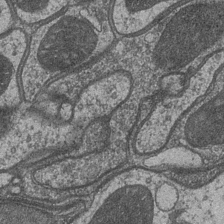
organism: Drosophila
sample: Optic medulla